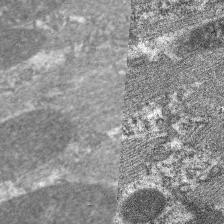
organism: C. elegans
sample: Pharynx